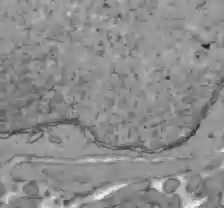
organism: C57BL Mouse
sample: Liver